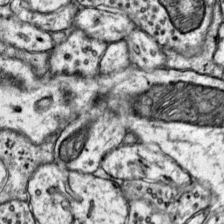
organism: Mouse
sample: Primary visual cortex